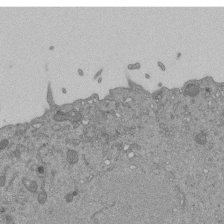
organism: Mouse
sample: ED-1 cell nuclei; centrioles